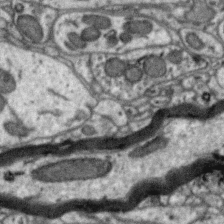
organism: Zebra finch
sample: Brain